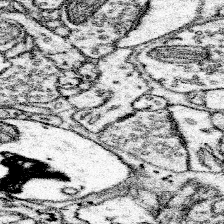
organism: Mouse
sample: Somatosensory cortex neuropil